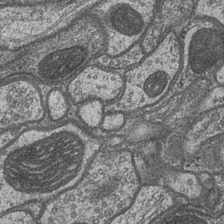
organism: Drosophila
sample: Optic medulla